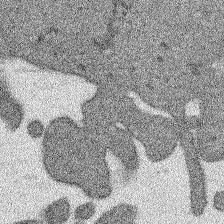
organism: Human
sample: HeLa cells